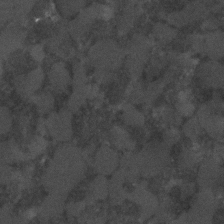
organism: C. elegans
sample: C. elegans embryo